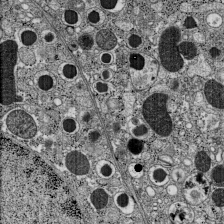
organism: C57BL Mouse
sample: Pancreatic islet